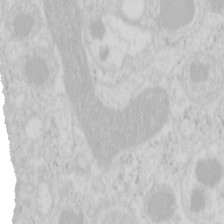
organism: Mouse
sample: Pancreas